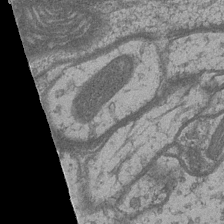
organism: Drosophila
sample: Optic medulla